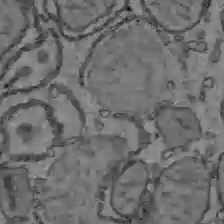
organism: C57BL Mouse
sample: Liver